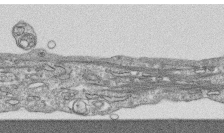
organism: Human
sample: CRL-1474